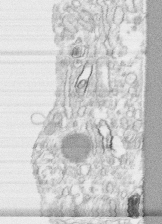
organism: Human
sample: CRL-1474